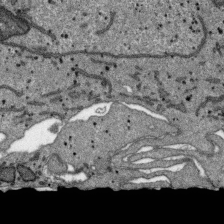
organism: Human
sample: Lung epithelial cells, uninfected (mock) control